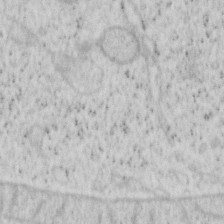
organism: Human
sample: HeLa cells